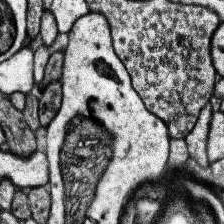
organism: Human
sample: Temporal Lobe